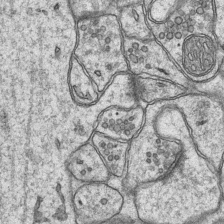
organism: Mouse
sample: CA1 Hippocampus